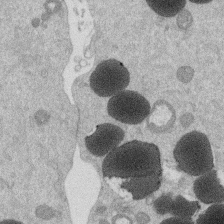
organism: Mouse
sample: Dividing mouse embryo 1 cell stage